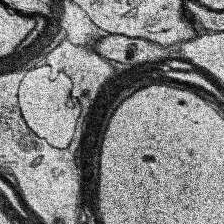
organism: Human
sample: Temporal Lobe